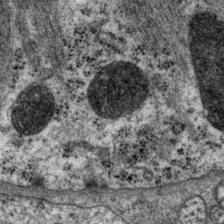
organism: P. pacificus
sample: Pharynx